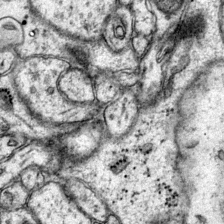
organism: Mouse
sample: Primary visual cortex